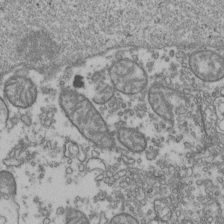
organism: Human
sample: Activated Jurkat CD4+ T cells